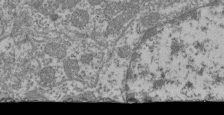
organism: Mouse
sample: Glomerulus